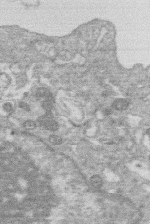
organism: Human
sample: Macrophage cells